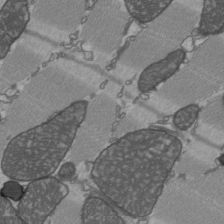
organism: C57BL Mouse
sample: Heart